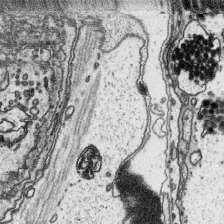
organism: Platynereis dumerilii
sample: Parapodia